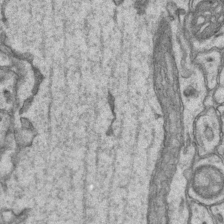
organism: Mouse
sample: CA1 Hippocampus